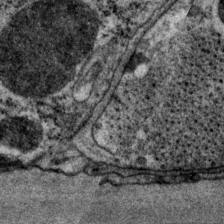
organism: P. pacificus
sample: Pharynx